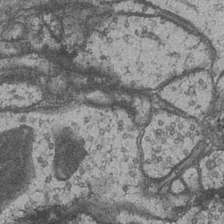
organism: Drosophila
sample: Optic medulla